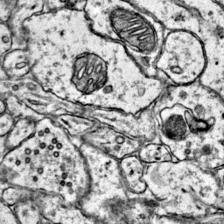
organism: Mouse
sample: Primary visual cortex